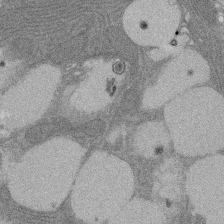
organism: Rat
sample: Salivary granule